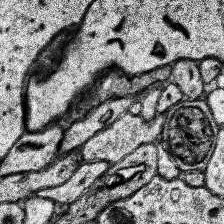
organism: Human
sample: Temporal Lobe